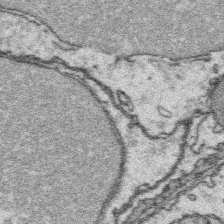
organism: Platynereis dumerilii